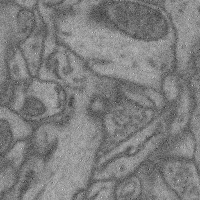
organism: Mouse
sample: Cerebral cortex